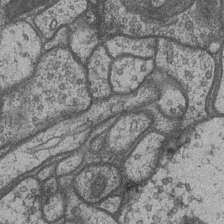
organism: Drosophila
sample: Optic medulla